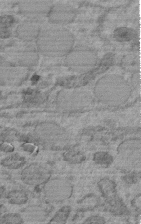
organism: C. elegans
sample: C. elegans embryo early stage